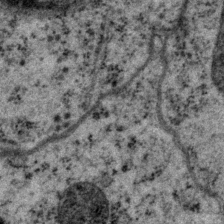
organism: P. pacificus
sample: Pharynx